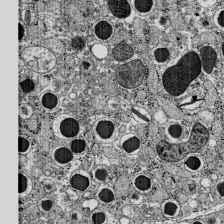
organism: C57BL Mouse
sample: Pancreatic islet